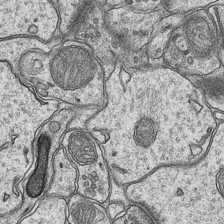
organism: Mouse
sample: CA1 Hippocampus